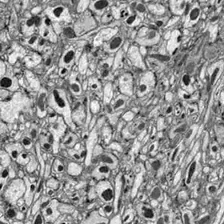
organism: Drosophila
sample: Optic lobe